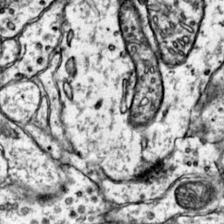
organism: Mouse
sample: Primary visual cortex